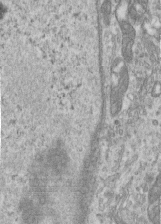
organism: Human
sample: Centriole in RPE cells